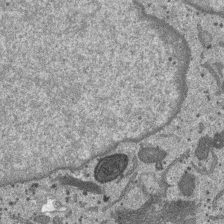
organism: Human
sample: Lung epithelial cells infected with SARS-CoV-2